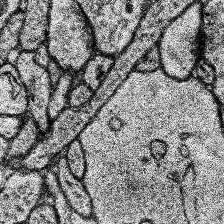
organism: Human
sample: Temporal Lobe